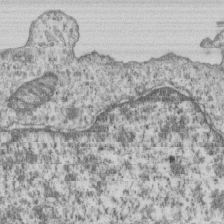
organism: Human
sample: MDA-MB-231 cells